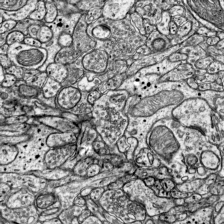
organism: Mouse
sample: Visual Cortex